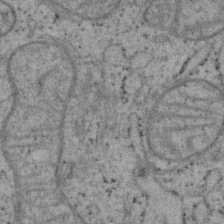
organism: Human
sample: HeLa cells